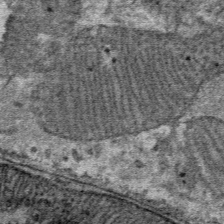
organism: Mouse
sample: Mouse Salivary gland